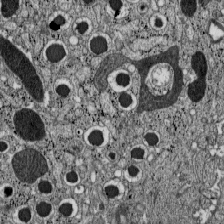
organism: C57BL Mouse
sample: Pancreatic islet